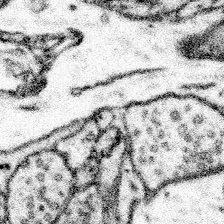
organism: Mouse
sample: Somatosensory cortex neuropil